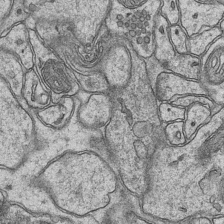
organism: Mouse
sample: CA1 Hippocampus